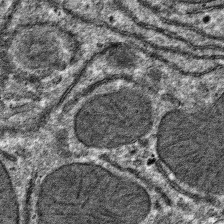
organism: Mouse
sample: Mouse hepatocytes